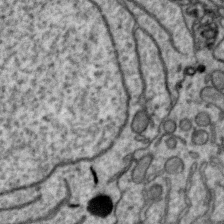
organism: Zebra finch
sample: Brain